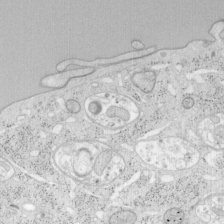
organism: Mouse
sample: OT-I killer T cells with ID8 ovarian cancer cells